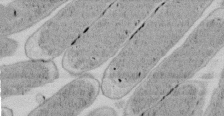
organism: E. coli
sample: Bacterial nucleoid